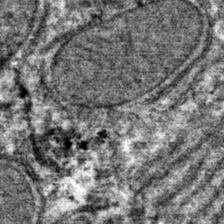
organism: Mouse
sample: Mouse hepatocytes